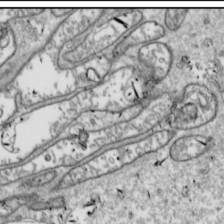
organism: Drosophila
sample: Cell division; meiosis; drosophila spermatocytes